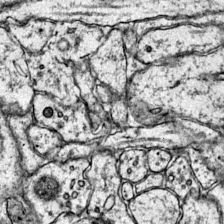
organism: Mouse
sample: Primary visual cortex